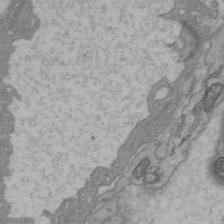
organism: C57BL Mouse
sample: Heart